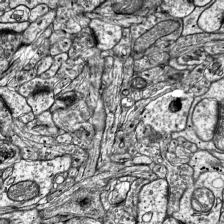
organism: Mouse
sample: Visual Cortex